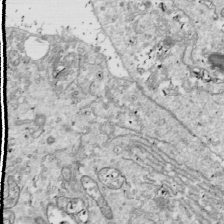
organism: Drosophila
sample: Cell division; meiosis; drosophila spermatocytes